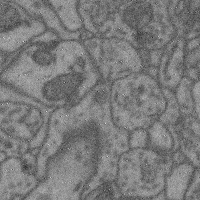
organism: Mouse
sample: Cerebral cortex